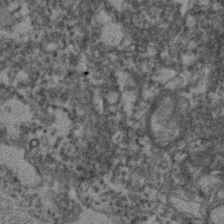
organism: Zebrafish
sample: Zebrafish embryo